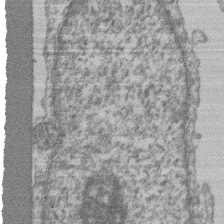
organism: Mouse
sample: T cell stromal cell synapse